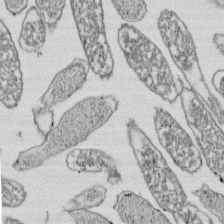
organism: E. coli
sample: Bacterial nucleoid